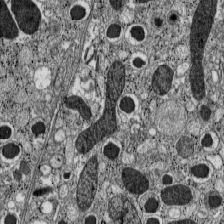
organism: C57BL Mouse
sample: Pancreatic islet